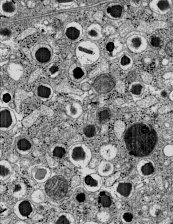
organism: C57BL Mouse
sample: Pancreatic islet